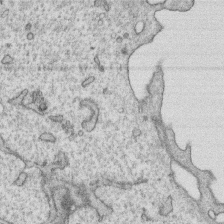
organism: Human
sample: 1205lu cells